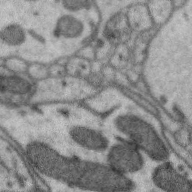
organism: Zebra finch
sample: Brain